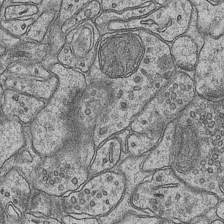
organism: Mouse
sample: CA1 Hippocampus